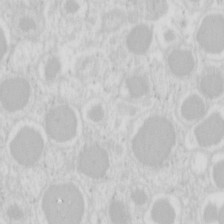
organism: Mouse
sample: Pancreas